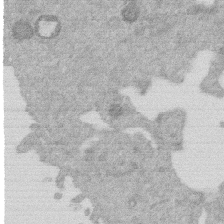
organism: Mouse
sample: Dividing mouse embryo 1 cell stage